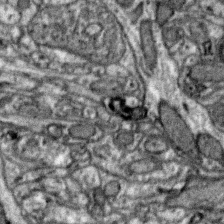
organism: Zebra finch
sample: Brain